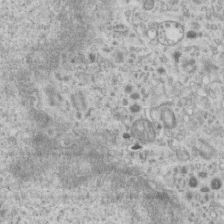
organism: Mouse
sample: Centriole in ependymal cells